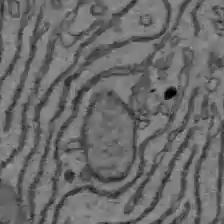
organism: C57BL Mouse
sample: Liver